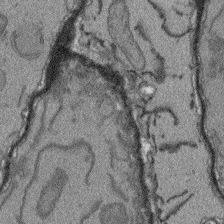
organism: Arabidopsis thaliana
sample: Root tip